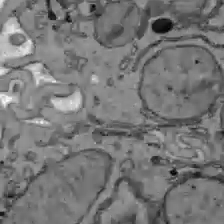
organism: C57BL Mouse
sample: Liver